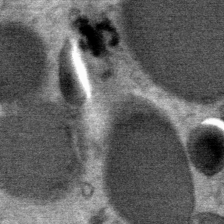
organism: Mouse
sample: Mouse Salivary gland